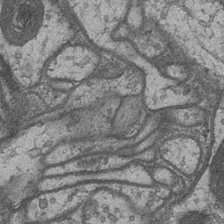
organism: Drosophila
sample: Optic medulla